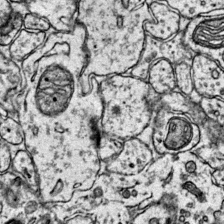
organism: Mouse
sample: Primary visual cortex